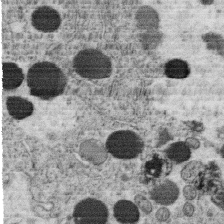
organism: C. elegans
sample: C. elegans oocyte; sperm cells